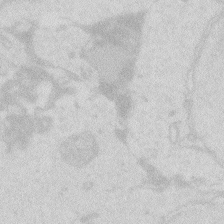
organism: Zebrafish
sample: Macrophage